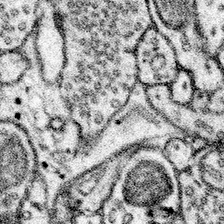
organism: Mouse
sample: Somatosensory cortex neuropil